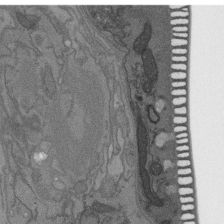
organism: C. elegans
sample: AFD neurons C. elegans